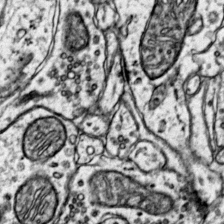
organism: Mouse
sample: Primary visual cortex